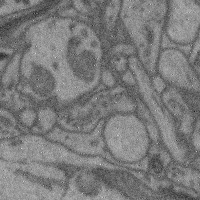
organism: Mouse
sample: Cerebral cortex